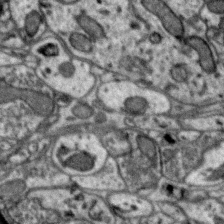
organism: Zebra finch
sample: Brain